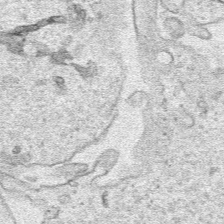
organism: Human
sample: Mitochondria in HCT116 cells